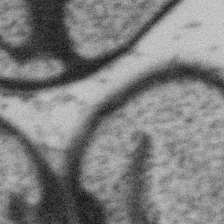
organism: Gemmata obscuriglobus